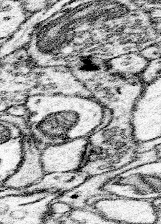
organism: Mouse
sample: Somatosensory cortex neuropil